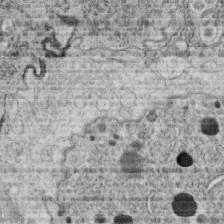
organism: C. elegans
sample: C. elegans oocyte; sperm cells